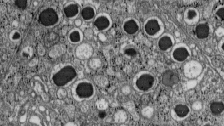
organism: C57BL Mouse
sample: Pancreatic islet